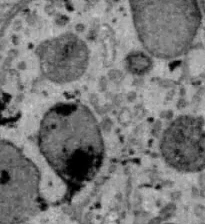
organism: Mouse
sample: Liver from an obese (ob/ob) mouse